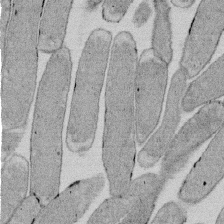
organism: E. coli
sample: Bacterial nucleoid